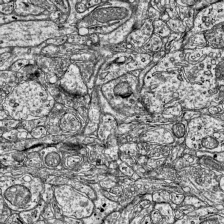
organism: Mouse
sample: Visual Cortex